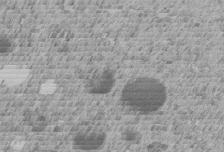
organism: C. elegans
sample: C. elegans embryo early stage